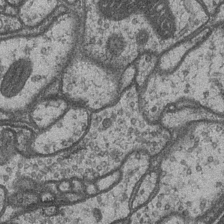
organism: Drosophila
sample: Optic medulla